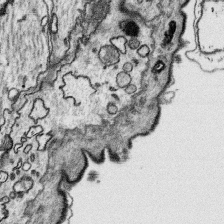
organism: Platynereis dumerilii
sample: Parapodia